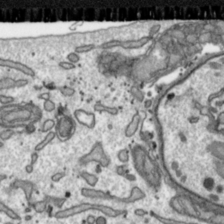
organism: Toxoplasma gondii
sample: Parasites in a vacuole inside a host cell